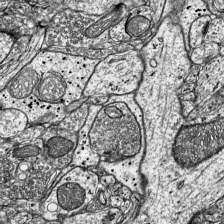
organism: Mouse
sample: Visual Cortex